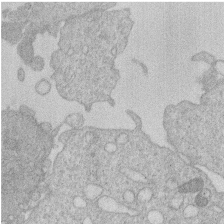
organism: Human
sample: Macrophage cells